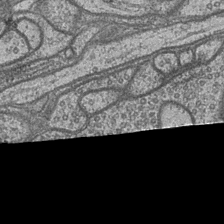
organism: Drosophila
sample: Optic medulla